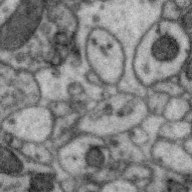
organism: Zebra finch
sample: Brain